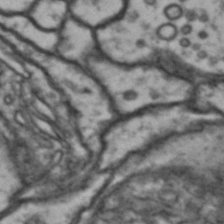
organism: Drosophila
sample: Brain